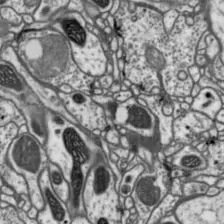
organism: Drosophila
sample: Protocerebral bridge